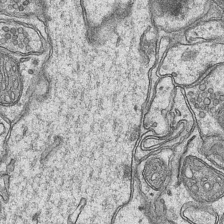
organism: Mouse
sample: CA1 Hippocampus